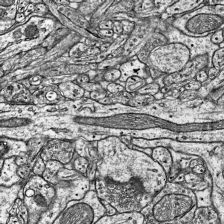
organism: Mouse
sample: Visual Cortex